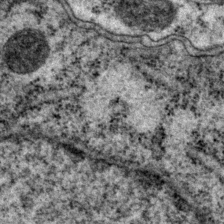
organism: P. pacificus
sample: Pharynx